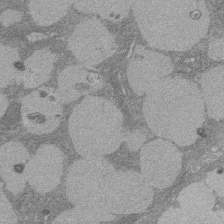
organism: Rat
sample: Salivary granule